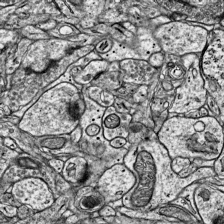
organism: Mouse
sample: Visual Cortex